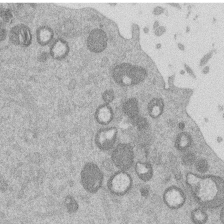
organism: Mouse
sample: Dividing mouse embryo 1 cell stage